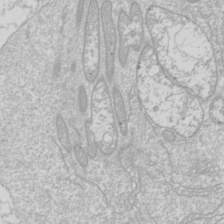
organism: Drosophila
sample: Cell division; meiosis; drosophila spermatocytes